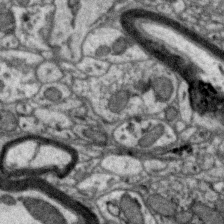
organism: Zebra finch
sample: Brain